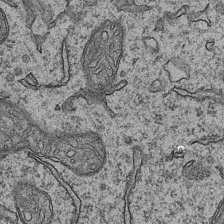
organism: Mouse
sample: CA1 Hippocampus